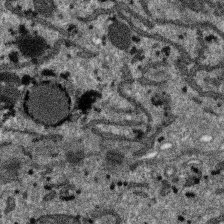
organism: Human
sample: Lung epithelial cells infected with SARS-CoV-2